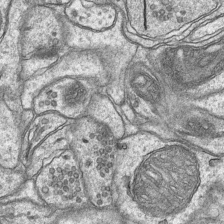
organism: Mouse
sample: CA1 Hippocampus